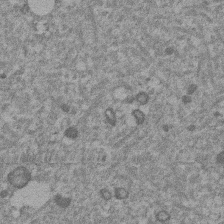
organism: Mouse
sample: Dividing mouse embryo 1 cell stage